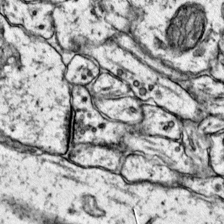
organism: Mouse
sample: Primary visual cortex